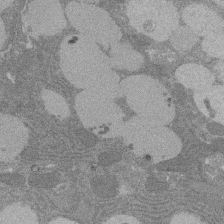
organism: Rat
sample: Salivary granule